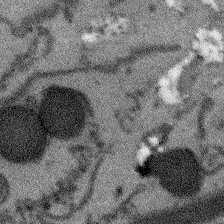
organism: Arabidopsis thaliana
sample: Root tip